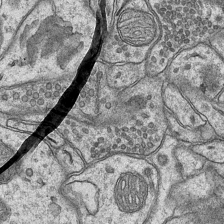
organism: Mouse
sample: CA1 Hippocampus